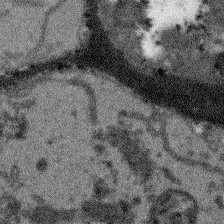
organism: Arabidopsis thaliana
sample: Root tip